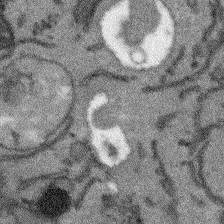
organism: Arabidopsis thaliana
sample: Root tip